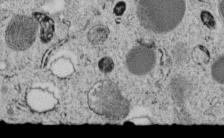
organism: C. elegans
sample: C. elegans embryo early stage